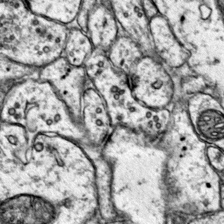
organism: Mouse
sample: Primary visual cortex